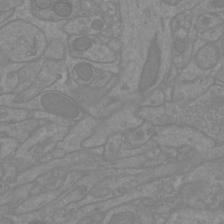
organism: Mouse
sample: Cortical neurons